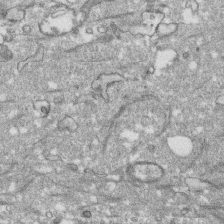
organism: Human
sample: CRL-1474